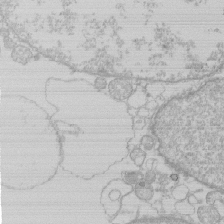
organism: Human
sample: Macrophage cells